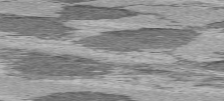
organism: C57BL Mouse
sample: Heart